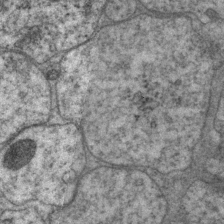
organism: P. pacificus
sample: Pharynx